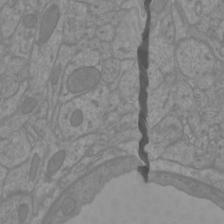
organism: Mouse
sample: Cortical neurons